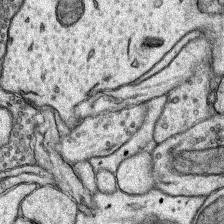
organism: Rat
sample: Hippocampus